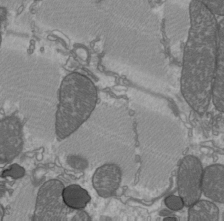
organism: C57BL Mouse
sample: Heart